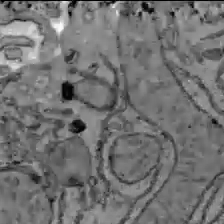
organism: C57BL Mouse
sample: Liver